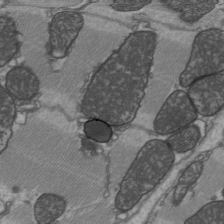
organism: C57BL Mouse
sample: Heart